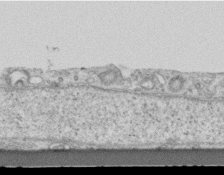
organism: Mouse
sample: Centriole in ependymal cells